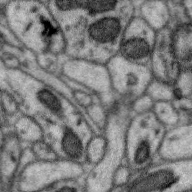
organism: Zebra finch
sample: Brain